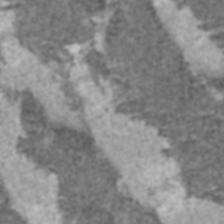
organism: C57BL Mouse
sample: Heart